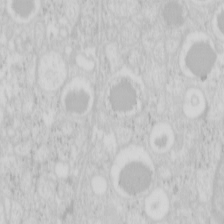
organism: Mouse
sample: Pancreas